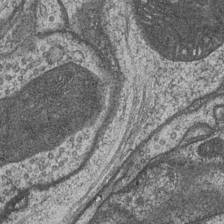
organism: Drosophila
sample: Optic medulla